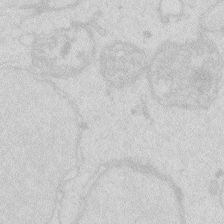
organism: Zebrafish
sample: Macrophage